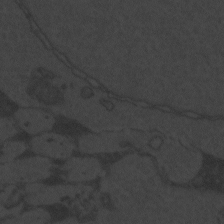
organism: Zebrafish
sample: Macrophage infected with Toxoplasma gondii